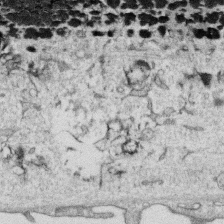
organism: Human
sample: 1205lu cells